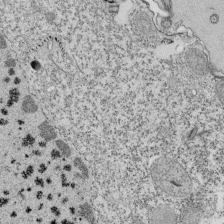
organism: Tetrahymena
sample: Cilia in tetrahymena